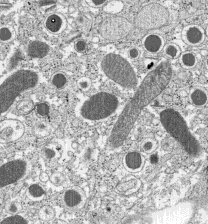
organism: C57BL Mouse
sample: Pancreatic islet